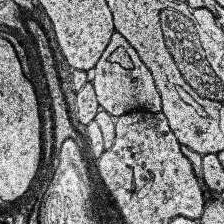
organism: Human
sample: Temporal Lobe